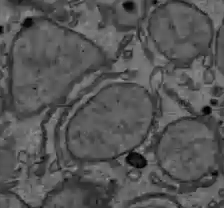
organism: C57BL Mouse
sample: Liver